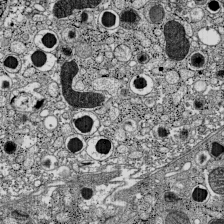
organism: C57BL Mouse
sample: Pancreatic islet